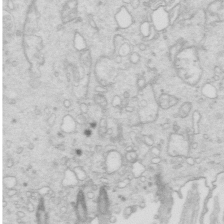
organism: Mouse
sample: Multiciliated cells